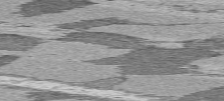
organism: C57BL Mouse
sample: Heart